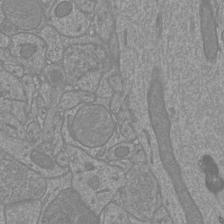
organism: Mouse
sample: Cortical neurons